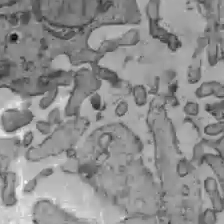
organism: C57BL Mouse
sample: Liver